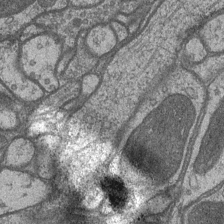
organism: Drosophila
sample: Optic medulla